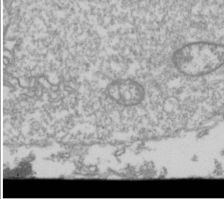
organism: Drosophila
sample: Cell division; meiosis; drosophila spermatocytes